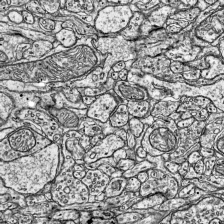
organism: Mouse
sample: Visual Cortex